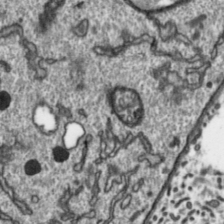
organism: Toxoplasma gondii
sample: Parasites in a vacuole inside a host cell